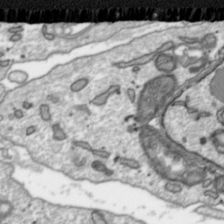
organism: Toxoplasma gondii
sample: Parasites in a vacuole inside a host cell